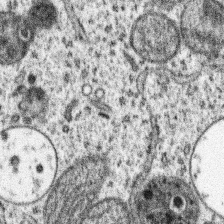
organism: Human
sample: HeLa cells